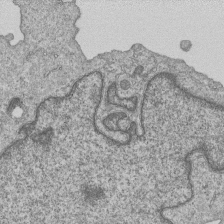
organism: Human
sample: MDA-MB-231 cells